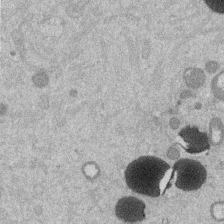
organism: Mouse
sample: Dividing mouse embryo 1 cell stage